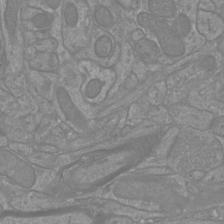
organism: Mouse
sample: Cortical neurons